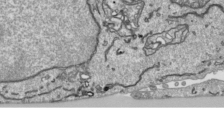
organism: Human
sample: Mitochondria in HCT116 cells